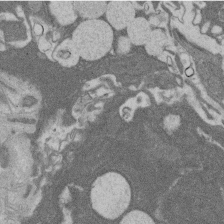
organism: Rat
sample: Salivary granule